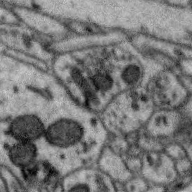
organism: Zebra finch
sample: Brain